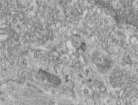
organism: Human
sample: Centriole in RPE cells